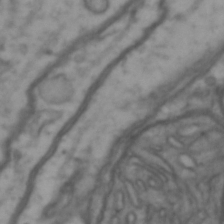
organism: Drosophila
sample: Brain